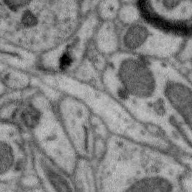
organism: Zebra finch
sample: Brain